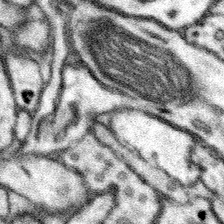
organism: Mouse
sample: Somatosensory cortex neuropil